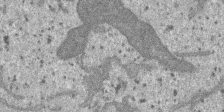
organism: Human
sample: Lung epithelial cells infected with SARS-CoV-2